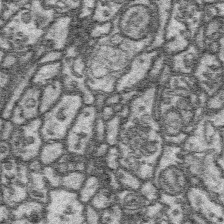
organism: Platynereis dumerilii